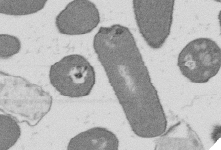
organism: B. subtilis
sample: Bacterial spore